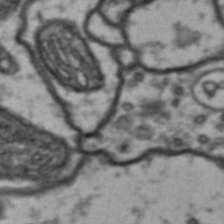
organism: Drosophila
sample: Brain